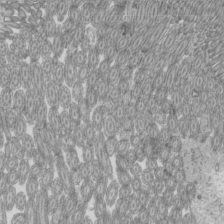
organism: Mouse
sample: Cilia; mouse epididymis